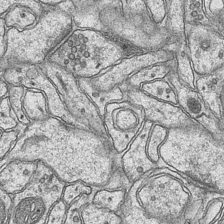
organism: Mouse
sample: CA1 Hippocampus